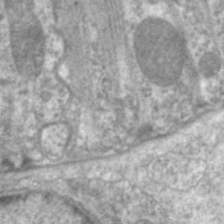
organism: C. elegans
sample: Pharynx